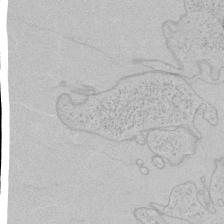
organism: Human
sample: Mitochondria in HCT116 cells